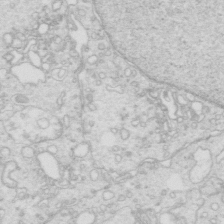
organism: Mouse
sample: Multiciliated cells